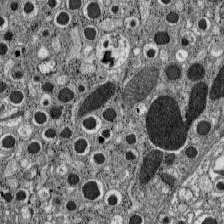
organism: C57BL Mouse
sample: Pancreatic islet